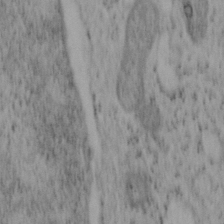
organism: Mouse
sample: OT-I killer T cells with ID8 ovarian cancer cells